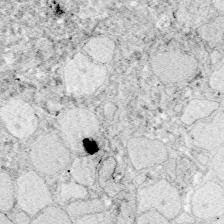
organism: Zebrafish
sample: Whole-Brain